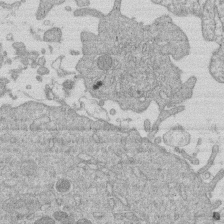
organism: Human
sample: Macrophage cells